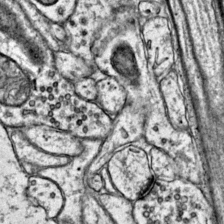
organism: Mouse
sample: Primary visual cortex